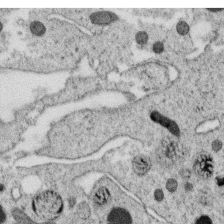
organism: C. elegans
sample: C. elegans oocyte; sperm cells